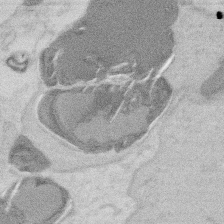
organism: Mouse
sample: T cell stromal cell synapse